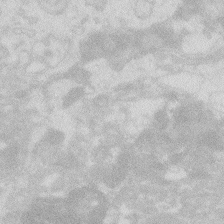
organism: Zebrafish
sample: Macrophage